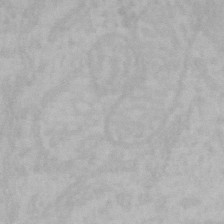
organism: Mouse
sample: Choroid plexus